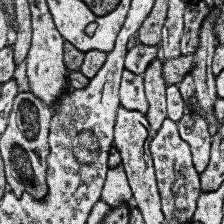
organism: Human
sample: Temporal Lobe